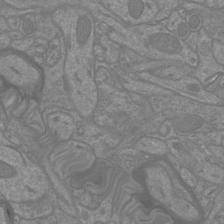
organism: Mouse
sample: Cortical neurons